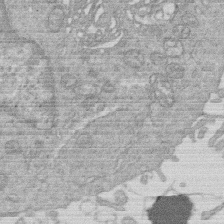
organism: Human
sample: Macrophage cells